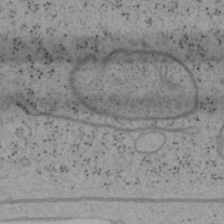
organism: Human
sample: HeLa cells